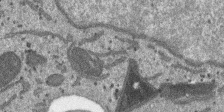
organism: Human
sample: Lung epithelial cells infected with SARS-CoV-2